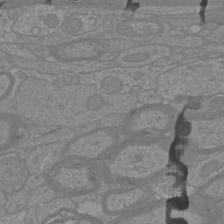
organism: Mouse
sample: Cortical neurons